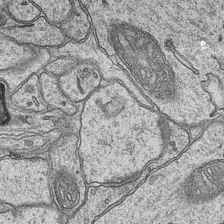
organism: Mouse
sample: CA1 Hippocampus